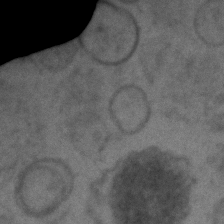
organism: C. elegans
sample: C. elegans embryo